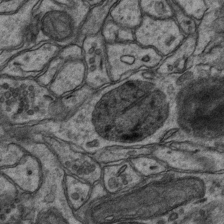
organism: Mouse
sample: CA1 Hippocampus